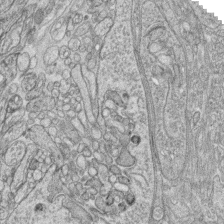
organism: Zebrafish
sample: synaptic ribbons in rod cells and cone cells